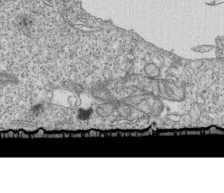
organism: Human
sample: HeLa cell HIV synapse